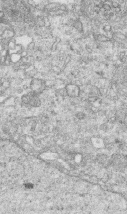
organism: Human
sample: HeLa cell HIV synapse